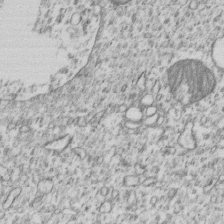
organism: Human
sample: MDA-MB-231 cells